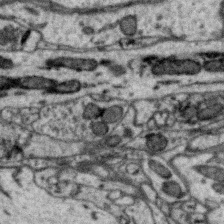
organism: Zebra finch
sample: Brain